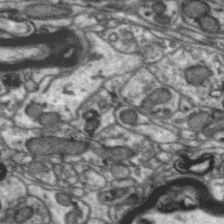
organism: Zebra finch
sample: Brain